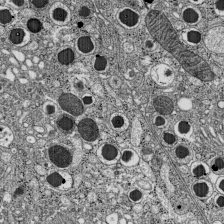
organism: C57BL Mouse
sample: Pancreatic islet